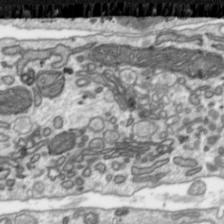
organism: Toxoplasma gondii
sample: Parasites in a vacuole inside a host cell